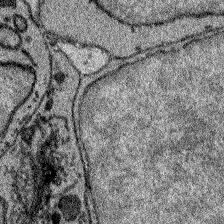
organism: Zebrafish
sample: Larval olfactory bulb